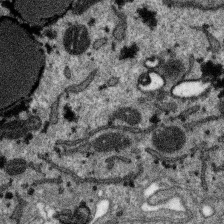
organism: Human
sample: Lung epithelial cells infected with SARS-CoV-2